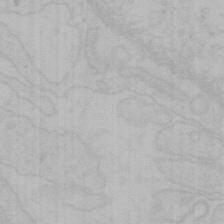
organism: Mouse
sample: Choroid plexus